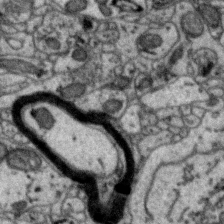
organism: Zebra finch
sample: Brain